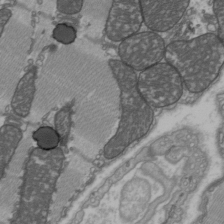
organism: C57BL Mouse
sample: Heart